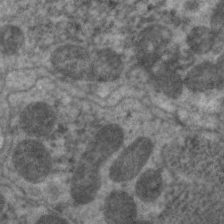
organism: C. elegans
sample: Pharynx